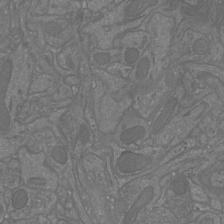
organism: Mouse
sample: Cortical neurons